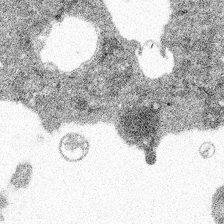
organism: Spongilla lacustris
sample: Multiple